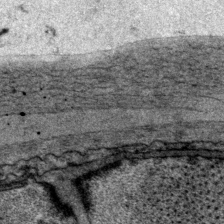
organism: P. pacificus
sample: Pharynx